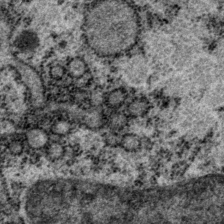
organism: P. pacificus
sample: Pharynx